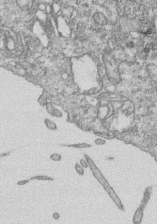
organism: Human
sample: HeLa cell HIV synapse